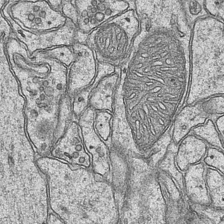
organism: Mouse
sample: CA1 Hippocampus